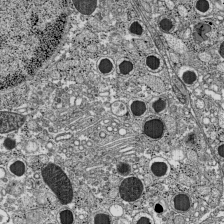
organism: C57BL Mouse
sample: Pancreatic islet